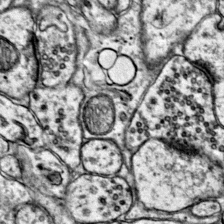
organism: Mouse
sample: Primary visual cortex